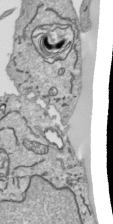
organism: Human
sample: Mitochondria in HCT116 cells